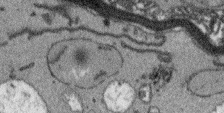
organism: Arabidopsis thaliana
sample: Root tip